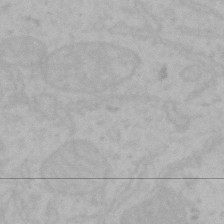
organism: Mouse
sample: Choroid plexus